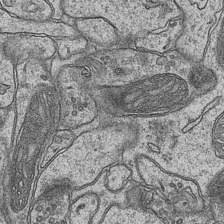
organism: Mouse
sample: CA1 Hippocampus